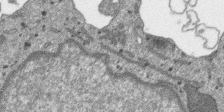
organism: Human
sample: Lung epithelial cells infected with SARS-CoV-2